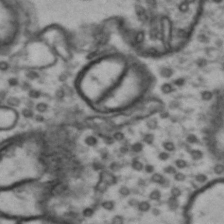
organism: Drosophila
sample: Brain